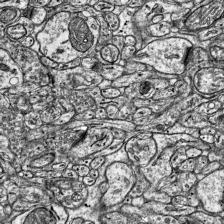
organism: Mouse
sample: Visual Cortex